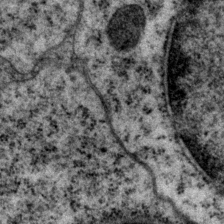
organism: P. pacificus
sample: Pharynx